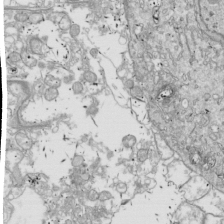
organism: Drosophila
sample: Cell division; meiosis; drosophila spermatocytes